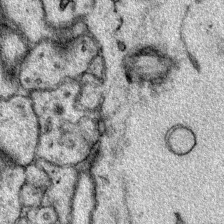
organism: Mouse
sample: Primary visual cortex